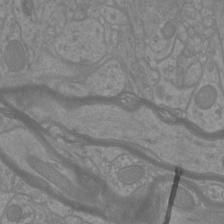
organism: Mouse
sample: Cortical neurons